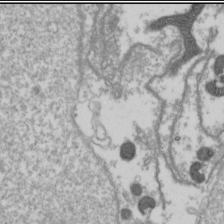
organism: Drosophila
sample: Cell division; meiosis; drosophila spermatocytes